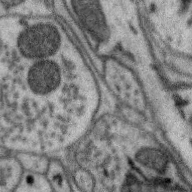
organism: Zebra finch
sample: Brain